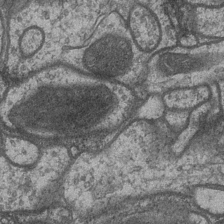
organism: Drosophila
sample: Optic medulla